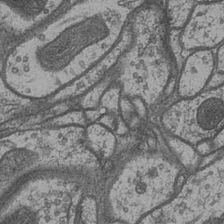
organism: Drosophila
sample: Optic medulla